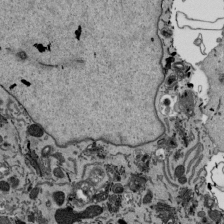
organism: Mouse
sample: ED-1 cell nuclei; centrioles